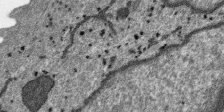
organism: Human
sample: Lung epithelial cells, uninfected (mock) control